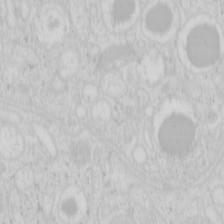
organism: Mouse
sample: Pancreas